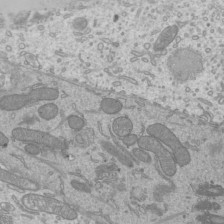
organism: Mouse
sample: Cilia; mouse epididymis